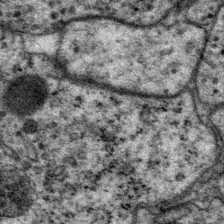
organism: P. pacificus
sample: Pharynx